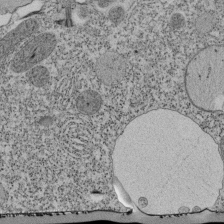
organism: Tetrahymena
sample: Cilia in tetrahymena